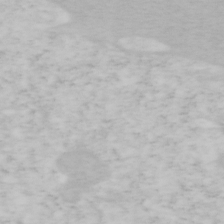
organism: Mouse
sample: OT-I killer T cells with ID8 ovarian cancer cells